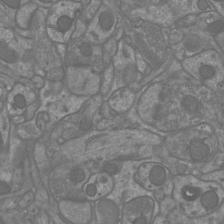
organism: Mouse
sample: Cortical neurons